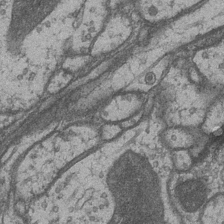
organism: Drosophila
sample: Optic medulla